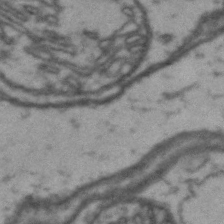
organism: Drosophila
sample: Brain